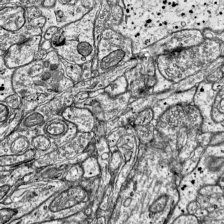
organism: Mouse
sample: Visual Cortex